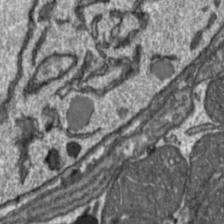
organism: Toxoplasma gondii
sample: Parasites in a vacuole inside a host cell